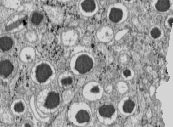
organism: C57BL Mouse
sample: Pancreatic islet